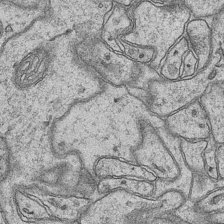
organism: Mouse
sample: CA1 Hippocampus